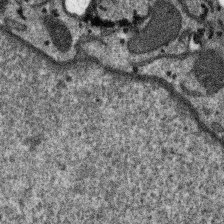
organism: Human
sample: Lung epithelial cells infected with SARS-CoV-2